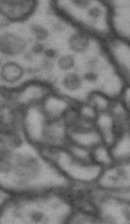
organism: Drosophila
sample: Brain